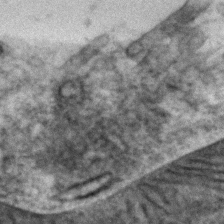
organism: Zebrafish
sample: Zebrafish embryo